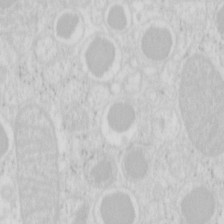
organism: Mouse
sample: Pancreas